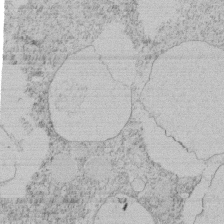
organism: Tetrahymena